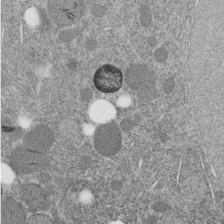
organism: C. elegans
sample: C. elegans embryo early stage